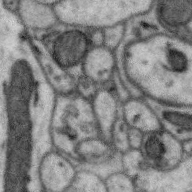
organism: Zebra finch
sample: Brain